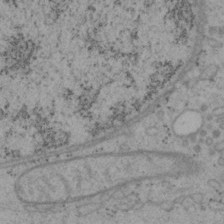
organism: Human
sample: HeLa cells